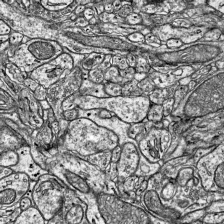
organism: Mouse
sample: Visual Cortex